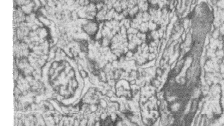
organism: Zebrafish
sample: synaptic ribbons in rod cells and cone cells